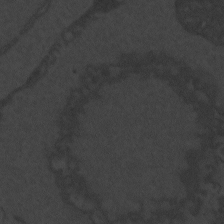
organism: Zebrafish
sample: Macrophage infected with Toxoplasma gondii